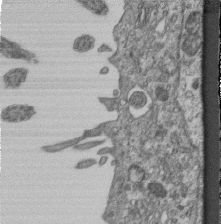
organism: Mouse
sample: Centriole in ependymal cells